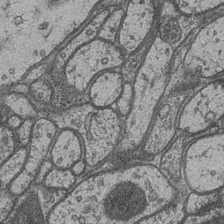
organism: Drosophila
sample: Optic medulla